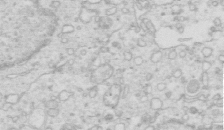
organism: Mouse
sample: Multiciliated cells